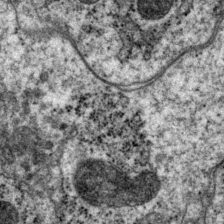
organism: P. pacificus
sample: Pharynx